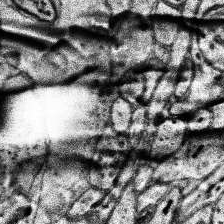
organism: Human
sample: Temporal Lobe